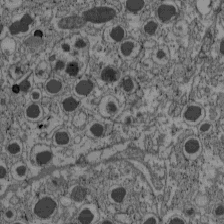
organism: C57BL Mouse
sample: Pancreatic islet